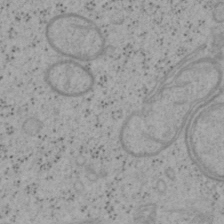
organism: Human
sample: HeLa cells